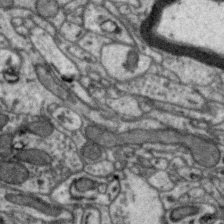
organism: Zebra finch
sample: Brain